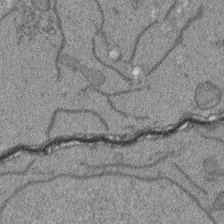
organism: Arabidopsis thaliana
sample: Root tip